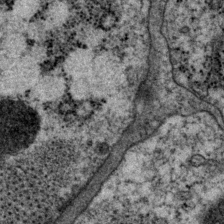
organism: P. pacificus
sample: Pharynx